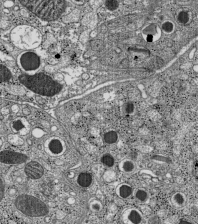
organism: C57BL Mouse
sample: Pancreatic islet